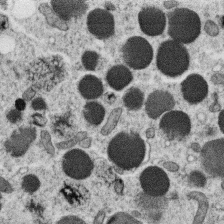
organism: C. elegans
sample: C. elegans oocyte; sperm cells